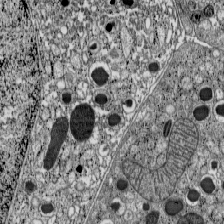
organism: C57BL Mouse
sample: Pancreatic islet